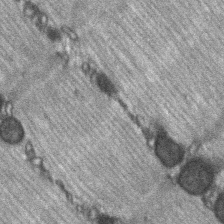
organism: C57BL Mouse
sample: Soleus